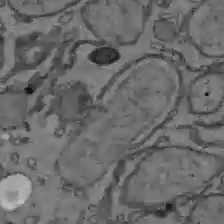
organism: C57BL Mouse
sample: Liver